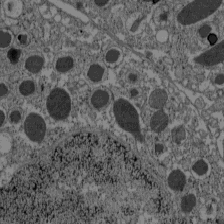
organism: C57BL Mouse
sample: Pancreatic islet